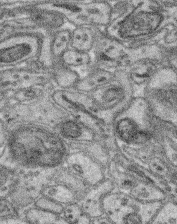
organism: Mouse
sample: Retina